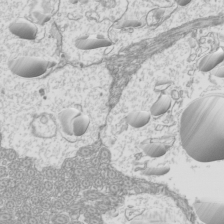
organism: Mouse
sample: Cilia; mouse epididymis